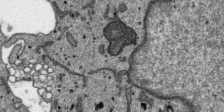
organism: Human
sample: Lung epithelial cells, uninfected (mock) control